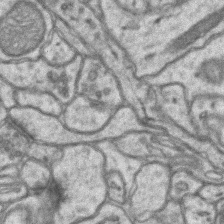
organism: Mouse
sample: CA1 Hippocampus